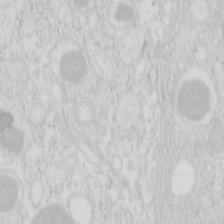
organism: Mouse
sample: Pancreas